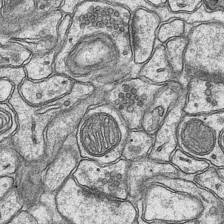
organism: Mouse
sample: CA1 Hippocampus